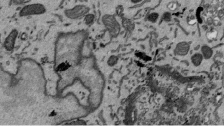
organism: Mouse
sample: ED-1 cell nuclei; centrioles